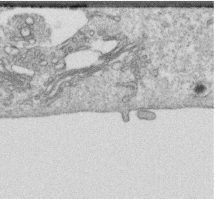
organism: Human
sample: Centriole in RPE cells